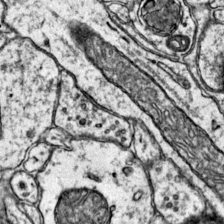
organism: Mouse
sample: Primary visual cortex